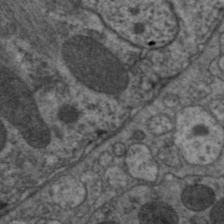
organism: C. elegans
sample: Pharynx